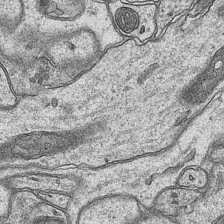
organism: Mouse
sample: CA1 Hippocampus